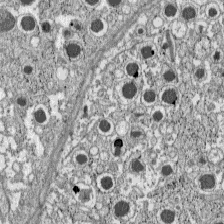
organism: C57BL Mouse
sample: Pancreatic islet